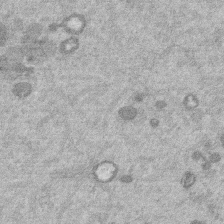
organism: Mouse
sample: Dividing mouse embryo 1 cell stage